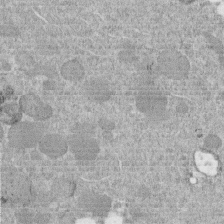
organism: C. elegans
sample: C. elegans embryo early stage